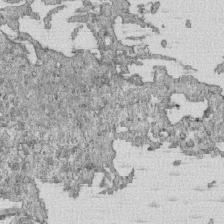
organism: Human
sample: HeLa cell HIV synapse